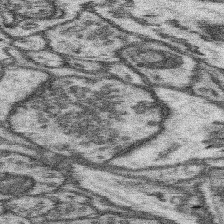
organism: Mouse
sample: Somatosensory cortex neuropil